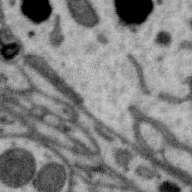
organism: Zebra finch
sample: Brain